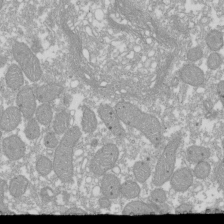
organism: Xenopus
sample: Cilia; centrioles in frog embryo cells